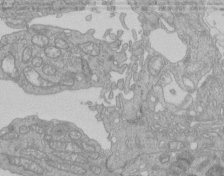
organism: Human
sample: Retinal organoid Rod and Cone cells